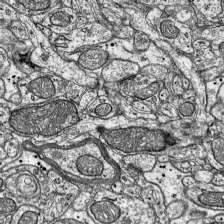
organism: Mouse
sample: Visual Cortex